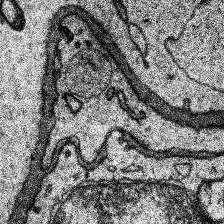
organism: Human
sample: Temporal Lobe